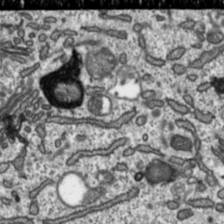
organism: Toxoplasma gondii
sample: Parasites in a vacuole inside a host cell